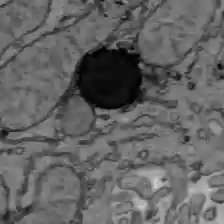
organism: C57BL Mouse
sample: Liver